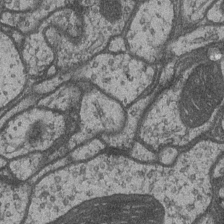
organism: Drosophila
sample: Optic medulla